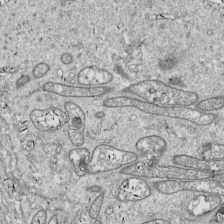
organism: Drosophila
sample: Cell division; meiosis; drosophila spermatocytes